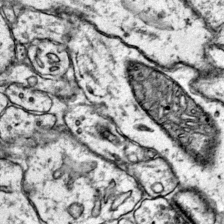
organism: Mouse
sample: Primary visual cortex